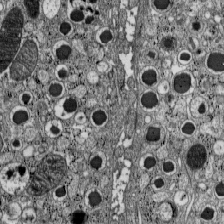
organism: C57BL Mouse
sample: Pancreatic islet